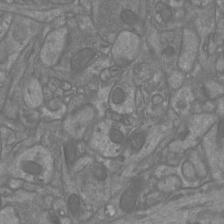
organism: Mouse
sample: Cortical neurons